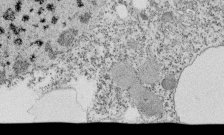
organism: Tetrahymena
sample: Cilia in tetrahymena